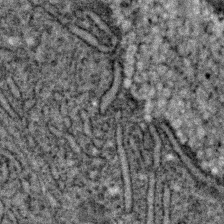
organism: C. elegans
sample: C. elegans embryo